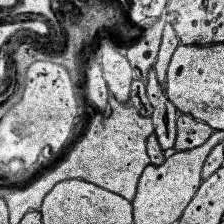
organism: Human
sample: Temporal Lobe